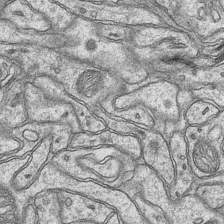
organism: Mouse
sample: CA1 Hippocampus